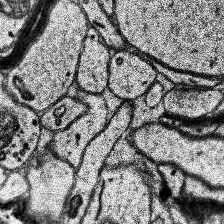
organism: Human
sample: Temporal Lobe